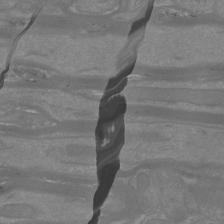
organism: Mouse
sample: Cortical neurons